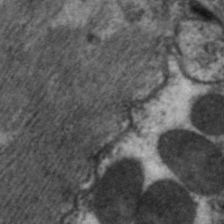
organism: C. elegans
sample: Pharynx